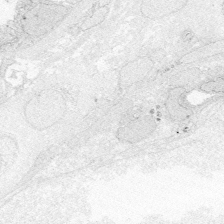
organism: Zebrafish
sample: Whole-Brain